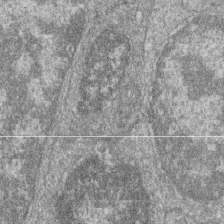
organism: Zebrafish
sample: Cilia; retinal pigment epithelium